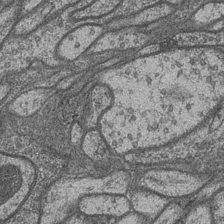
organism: Drosophila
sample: Optic medulla